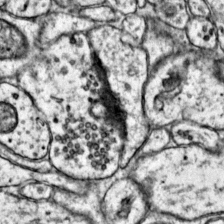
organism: Mouse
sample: Primary visual cortex